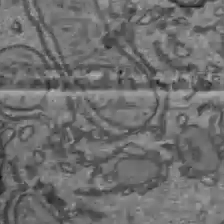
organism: C57BL Mouse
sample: Liver